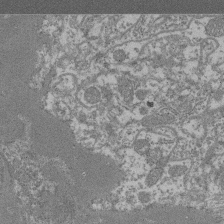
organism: Mouse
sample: Glomerulus